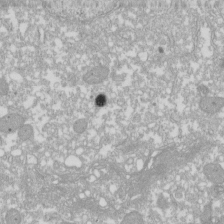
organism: Xenopus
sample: Cilia; centrioles in frog embryo cells